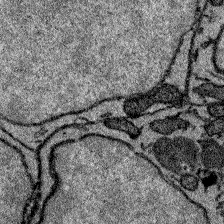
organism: Zebrafish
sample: Larval olfactory bulb